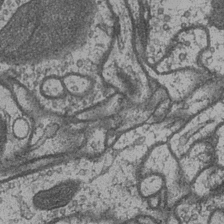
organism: Drosophila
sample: Optic medulla